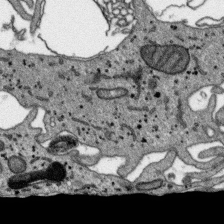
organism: Human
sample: Lung epithelial cells, uninfected (mock) control